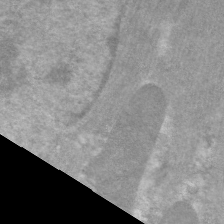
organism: C. elegans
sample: Pharynx